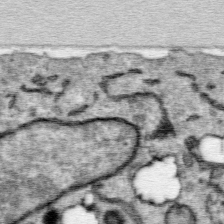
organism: Human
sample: HeLa cells